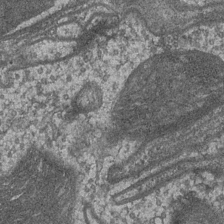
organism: Drosophila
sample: Optic medulla